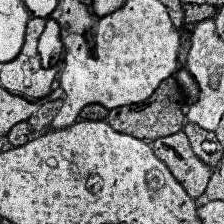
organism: Human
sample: Temporal Lobe